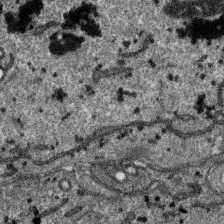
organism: Human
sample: Lung epithelial cells infected with SARS-CoV-2